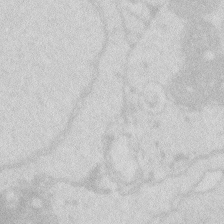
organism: Zebrafish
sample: Macrophage